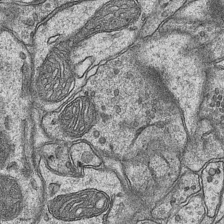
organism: Mouse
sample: CA1 Hippocampus